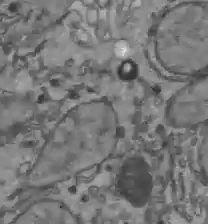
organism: C57BL Mouse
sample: Liver